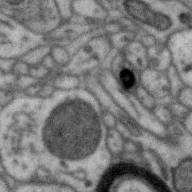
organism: Zebra finch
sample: Brain